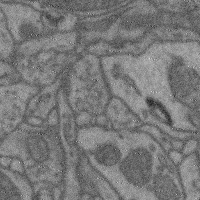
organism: Mouse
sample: Cerebral cortex